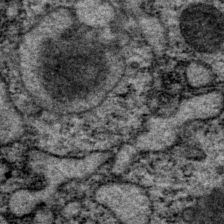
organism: P. pacificus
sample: Pharynx